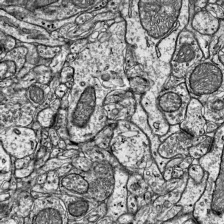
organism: Mouse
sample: Visual Cortex